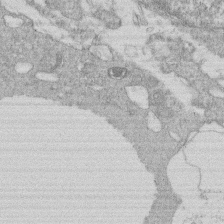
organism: Human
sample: Macrophage cells